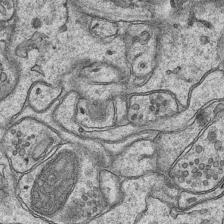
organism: Mouse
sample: CA1 Hippocampus